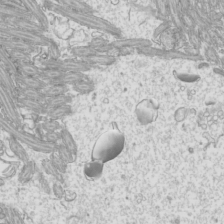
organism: Mouse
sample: Cilia; mouse epididymis